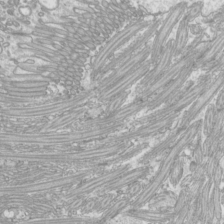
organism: Mouse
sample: Cilia; mouse epididymis